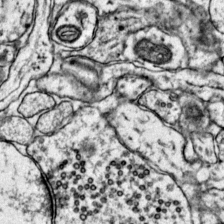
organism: Mouse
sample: Primary visual cortex